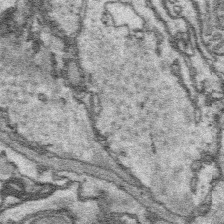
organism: Platynereis dumerilii